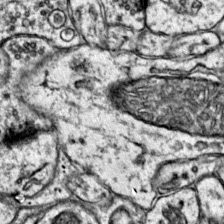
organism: Mouse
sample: Primary visual cortex